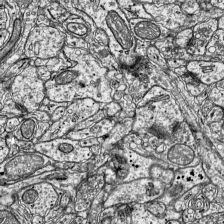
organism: Mouse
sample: Visual Cortex